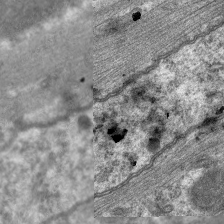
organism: C. elegans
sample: Pharynx